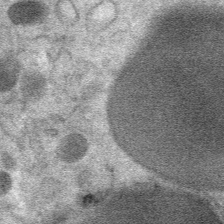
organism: Mouse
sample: Mouse Salivary gland